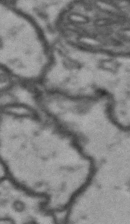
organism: Drosophila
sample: Brain